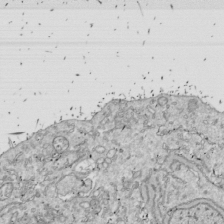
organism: Drosophila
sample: Cell division; meiosis; drosophila spermatocytes